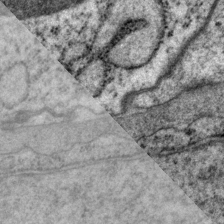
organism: P. pacificus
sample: Pharynx